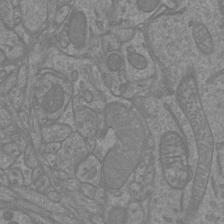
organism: Mouse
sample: Cortical neurons